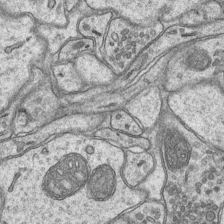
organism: Mouse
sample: CA1 Hippocampus